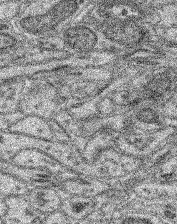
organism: Mouse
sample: Retina